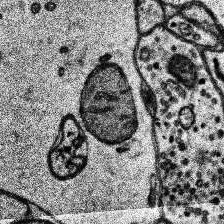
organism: Human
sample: Temporal Lobe